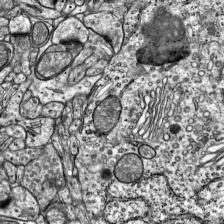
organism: Mouse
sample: Visual Cortex